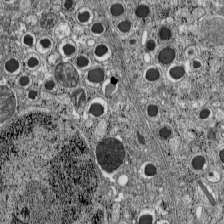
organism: C57BL Mouse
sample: Pancreatic islet